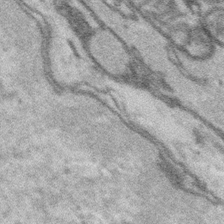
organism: Platynereis dumerilii